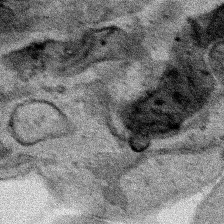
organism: Human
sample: Mitochondria in HCT116 cells